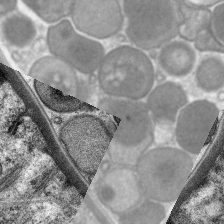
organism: C. elegans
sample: Pharynx